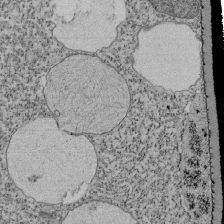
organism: Tetrahymena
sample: Cilia in tetrahymena